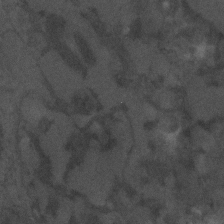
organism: C. elegans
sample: C. elegans embryo